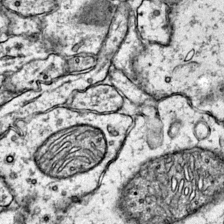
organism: Mouse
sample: Primary visual cortex